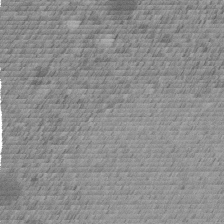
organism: C. elegans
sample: C. elegans embryo early stage